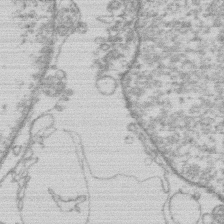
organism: Human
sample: Macrophage cells